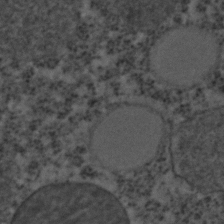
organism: C. elegans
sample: C. elegans embryo